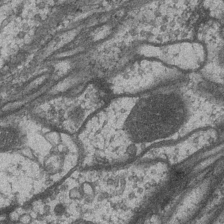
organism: Drosophila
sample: Optic medulla